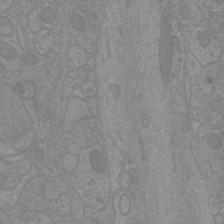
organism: Mouse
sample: Cortical neurons